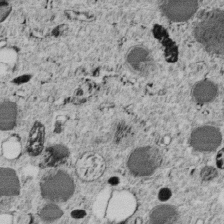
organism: C. elegans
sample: C. elegans embryo early stage